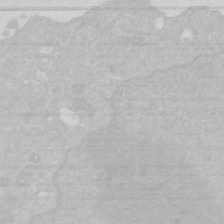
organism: Human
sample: HIV infected U937 cells